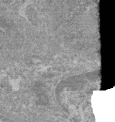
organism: Mouse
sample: Glomerulus